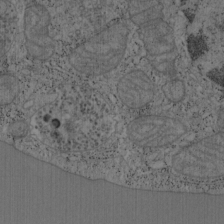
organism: Mouse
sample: OT-I killer T cells with ID8 ovarian cancer cells